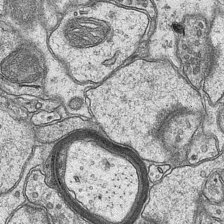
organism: Mouse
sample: CA1 Hippocampus